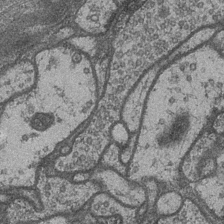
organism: Drosophila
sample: Optic medulla